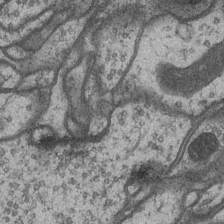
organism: Drosophila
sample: Optic medulla